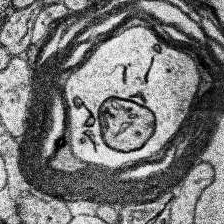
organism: Human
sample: Temporal Lobe